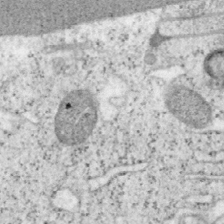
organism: Mouse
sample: OT-I killer T cells with ID8 ovarian cancer cells